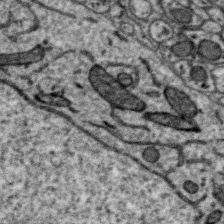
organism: Zebra finch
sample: Brain